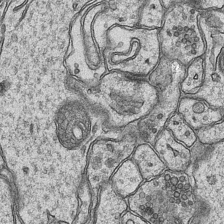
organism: Mouse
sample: CA1 Hippocampus